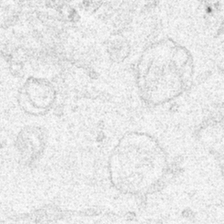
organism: Human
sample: Mitochondria in HCT116 cells